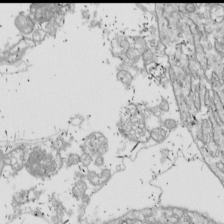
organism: Drosophila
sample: Cell division; meiosis; drosophila spermatocytes